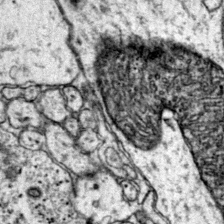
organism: Mouse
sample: Primary visual cortex